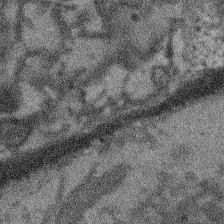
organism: Arabidopsis thaliana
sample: Root tip